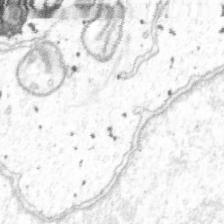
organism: Human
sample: HeLa cells